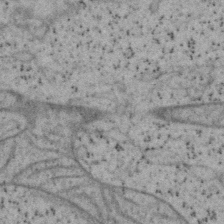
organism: Human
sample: HeLa cells